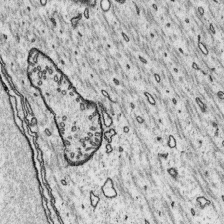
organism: Platynereis dumerilii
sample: Parapodia